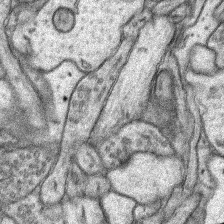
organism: Rat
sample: Hippocampus